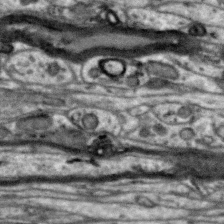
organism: Zebra finch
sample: Brain